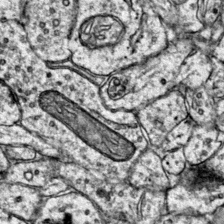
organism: Mouse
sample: Primary visual cortex